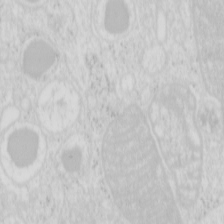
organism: Mouse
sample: Pancreas